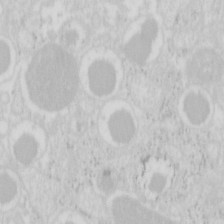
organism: Mouse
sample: Pancreas